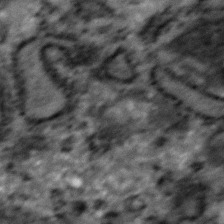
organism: Zebrafish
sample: Zebrafish embryo